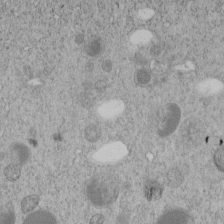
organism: C. elegans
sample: C. elegans embryo early stage